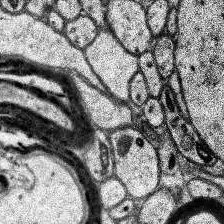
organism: Human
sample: Temporal Lobe